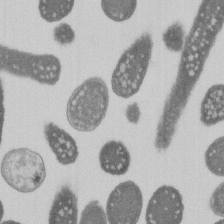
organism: E. coli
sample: Bacterial nucleoid